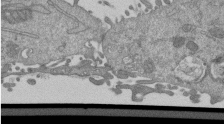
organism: Mouse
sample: ED-1 cell nuclei; centrioles